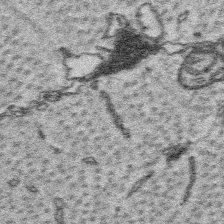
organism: Platynereis dumerilii